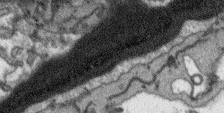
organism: Arabidopsis thaliana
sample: Root tip